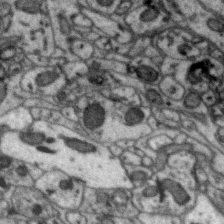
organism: Zebra finch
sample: Brain